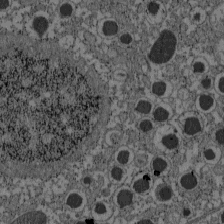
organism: C57BL Mouse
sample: Pancreatic islet